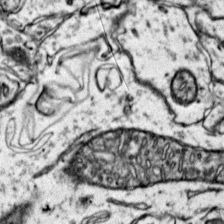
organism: Mouse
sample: Primary visual cortex